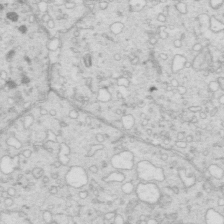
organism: Mouse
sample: Multiciliated cells